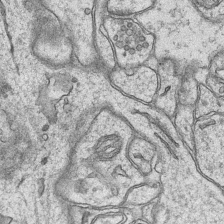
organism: Mouse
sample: CA1 Hippocampus